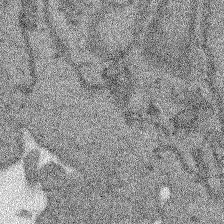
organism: Human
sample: HeLa cells